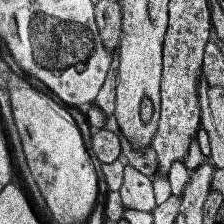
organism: Human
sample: Temporal Lobe